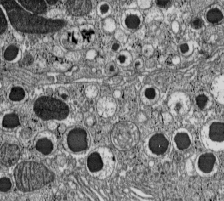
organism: C57BL Mouse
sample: Pancreatic islet